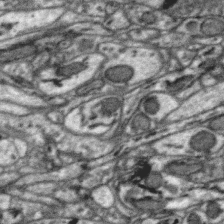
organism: Zebra finch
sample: Brain